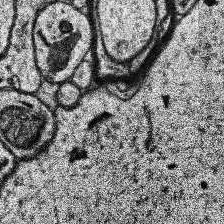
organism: Human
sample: Temporal Lobe